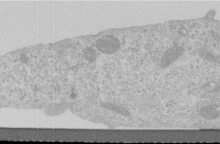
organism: Human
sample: Centriole in RPE cells